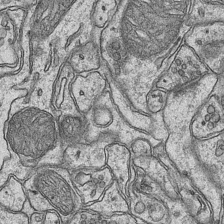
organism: Mouse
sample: CA1 Hippocampus